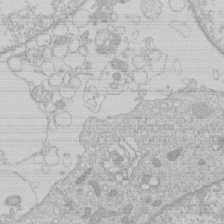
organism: Human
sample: Macrophage cells